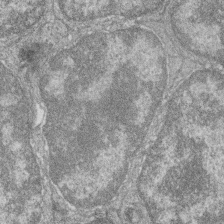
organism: Zebrafish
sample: Cilia; retinal pigment epithelium